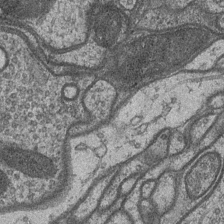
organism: Drosophila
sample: Optic medulla